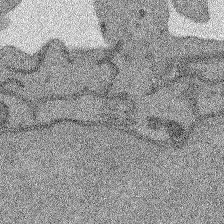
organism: Human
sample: HeLa cells